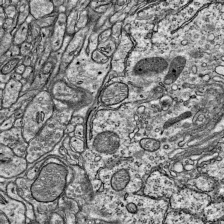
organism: Mouse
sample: Visual Cortex